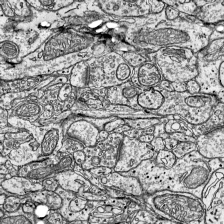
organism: Mouse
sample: Visual Cortex